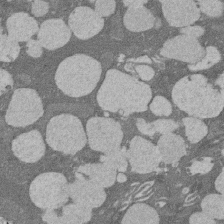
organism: Rat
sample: Salivary granule